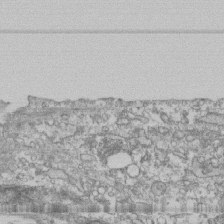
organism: Human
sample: Fibroblast cells